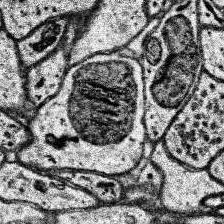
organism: Human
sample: Temporal Lobe